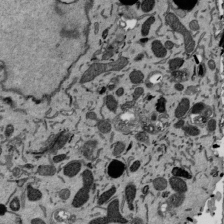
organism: Mouse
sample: ED-1 cell nuclei; centrioles